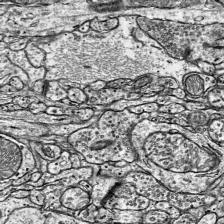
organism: Mouse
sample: Visual Cortex